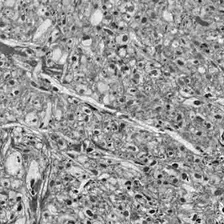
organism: Drosophila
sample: Optic lobe